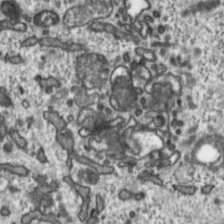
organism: Toxoplasma gondii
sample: Parasites in a vacuole inside a host cell